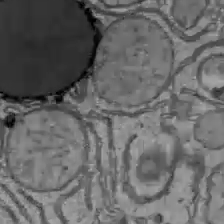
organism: C57BL Mouse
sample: Liver